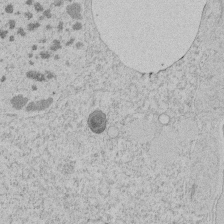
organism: Tetrahymena